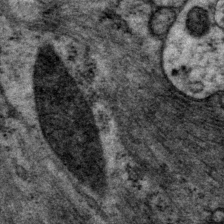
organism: P. pacificus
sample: Pharynx